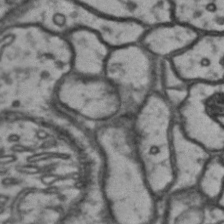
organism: Drosophila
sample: Brain